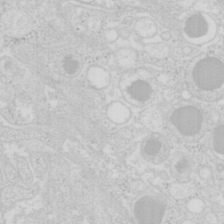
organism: Mouse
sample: Pancreas